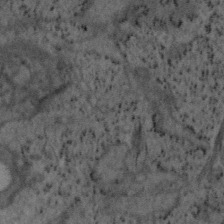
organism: Human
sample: HeLa cells